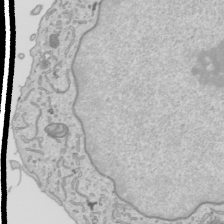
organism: Human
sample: Mitochondria in HCT116 cells